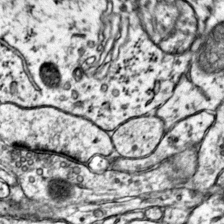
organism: Mouse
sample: Primary visual cortex